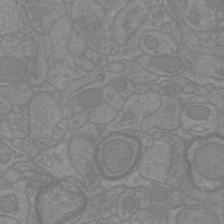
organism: Mouse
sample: Cortical neurons